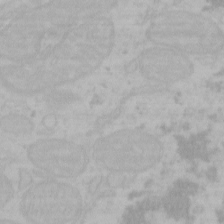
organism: Mouse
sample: Choroid plexus